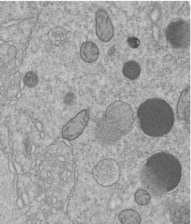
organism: C. elegans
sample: C. elegans embryo early stage